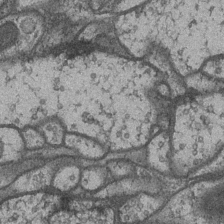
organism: Drosophila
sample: Optic medulla